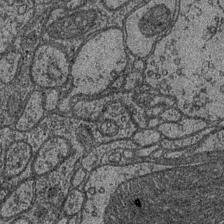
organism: Drosophila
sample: Optic medulla